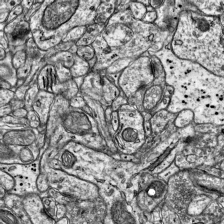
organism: Mouse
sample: Visual Cortex